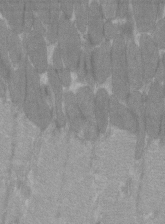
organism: C57BL Mouse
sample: Tibialis anterior muscle cell